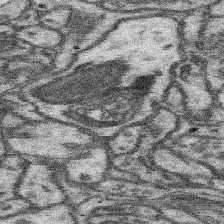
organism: Mouse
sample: Somatosensory cortex neuropil